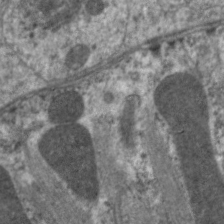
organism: C. elegans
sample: Pharynx